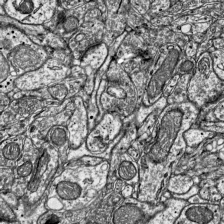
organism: Mouse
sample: Visual Cortex